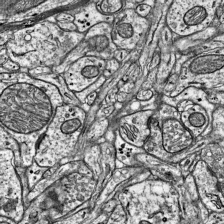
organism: Mouse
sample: Visual Cortex